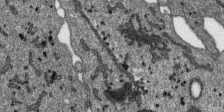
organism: Human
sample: Lung epithelial cells infected with SARS-CoV-2